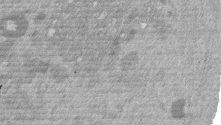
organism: Mouse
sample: Dividing mouse embryo 1 cell stage